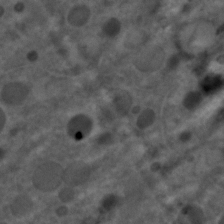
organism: C. elegans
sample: C. elegans embryo